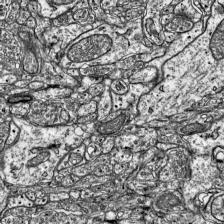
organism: Mouse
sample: Visual Cortex